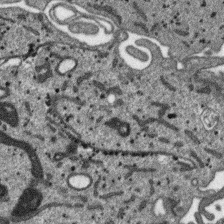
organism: Human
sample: Lung epithelial cells infected with SARS-CoV-2